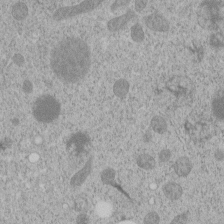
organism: C. elegans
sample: C. elegans embryo early stage